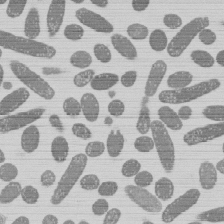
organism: E. coli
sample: Bacterial nucleoid